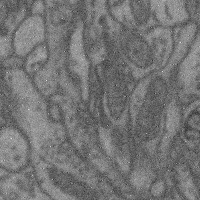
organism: Mouse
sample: Cerebral cortex